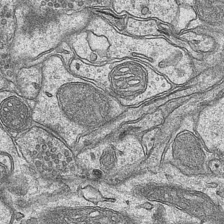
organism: Mouse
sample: CA1 Hippocampus